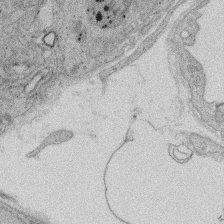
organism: Rat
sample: Salivary granule